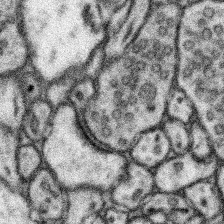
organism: Mouse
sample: Somatosensory cortex neuropil